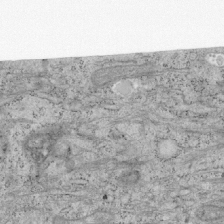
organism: Human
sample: HeLa cells